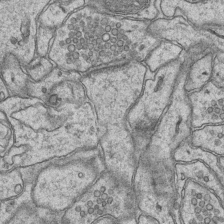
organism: Mouse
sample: CA1 Hippocampus